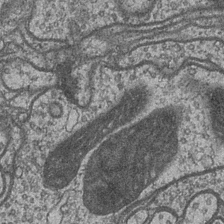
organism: Drosophila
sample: Optic medulla